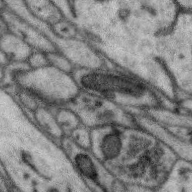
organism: Zebra finch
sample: Brain